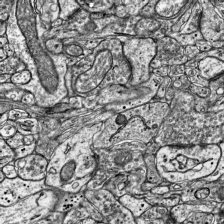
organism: Mouse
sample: Visual Cortex